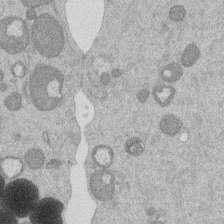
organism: Mouse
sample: Dividing mouse embryo 1 cell stage